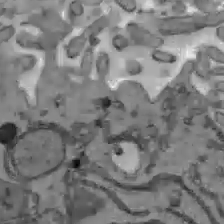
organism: C57BL Mouse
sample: Liver